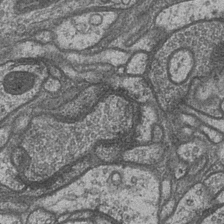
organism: Drosophila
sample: Optic medulla